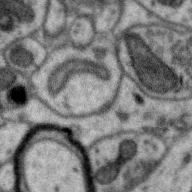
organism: Zebra finch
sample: Brain